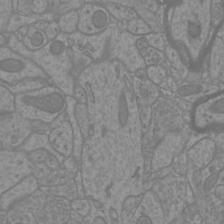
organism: Mouse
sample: Cortical neurons